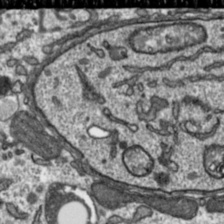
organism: Toxoplasma gondii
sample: Parasites in a vacuole inside a host cell